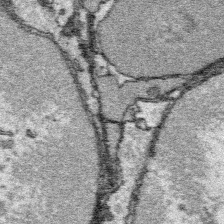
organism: Platynereis dumerilii